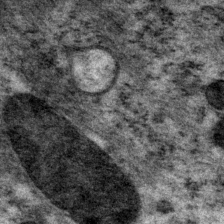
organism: P. pacificus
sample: Pharynx